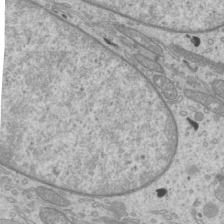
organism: Mouse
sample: Cilia; mouse epididymis